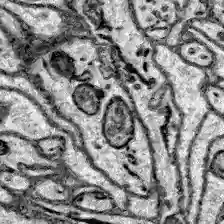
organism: Zebrafish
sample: Brain